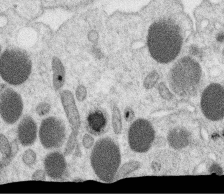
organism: C. elegans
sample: C. elegans oocyte; sperm cells